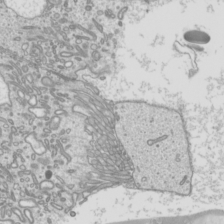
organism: Mouse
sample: Cilia; mouse epididymis